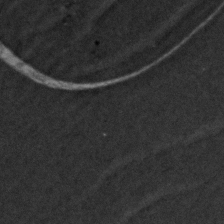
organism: Zebrafish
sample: Zebrafish embryo